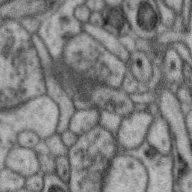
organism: Zebra finch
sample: Brain